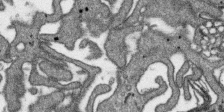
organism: Human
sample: Lung epithelial cells, uninfected (mock) control